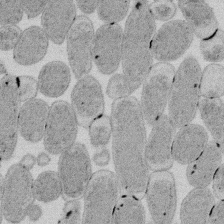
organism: E. coli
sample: Bacterial nucleoid